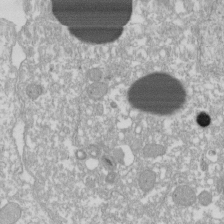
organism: Xenopus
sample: Cilia; centrioles in frog embryo cells